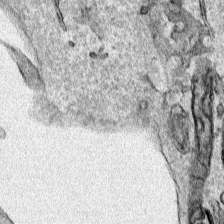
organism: Human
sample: Mitochondria in HCT116 cells